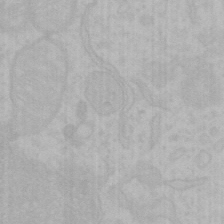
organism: Mouse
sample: Choroid plexus